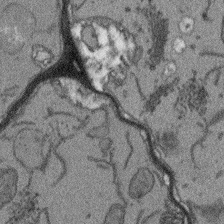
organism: Arabidopsis thaliana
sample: Root tip